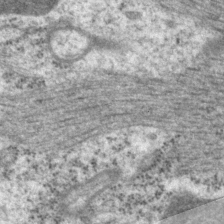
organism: P. pacificus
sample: Pharynx